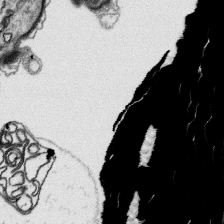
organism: Platynereis dumerilii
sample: Parapodia